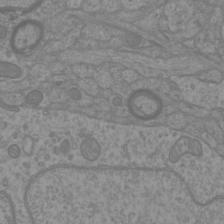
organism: Mouse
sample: Cortical neurons